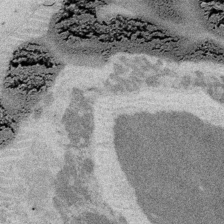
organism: Embia sp.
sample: Silk gland